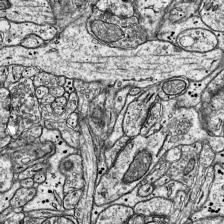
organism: Mouse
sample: Visual Cortex